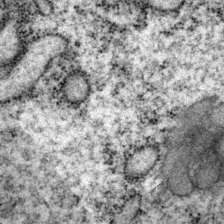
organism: P. pacificus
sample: Pharynx